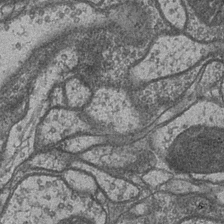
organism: Drosophila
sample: Optic medulla